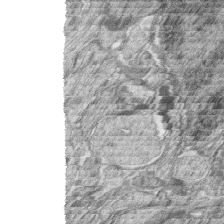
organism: Zebrafish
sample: synaptic ribbons in rod cells and cone cells